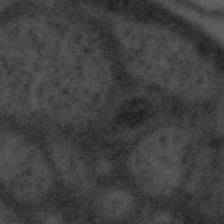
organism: Tuwongella immobilis